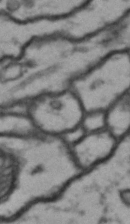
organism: Drosophila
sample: Brain